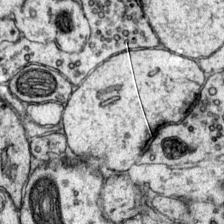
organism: Mouse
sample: Primary visual cortex